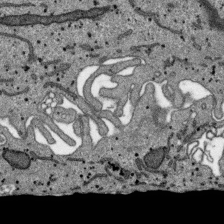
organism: Human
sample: Lung epithelial cells, uninfected (mock) control